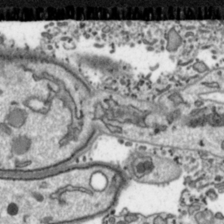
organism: Toxoplasma gondii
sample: Parasites in a vacuole inside a host cell